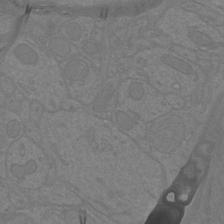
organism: Mouse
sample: Cortical neurons